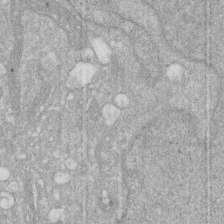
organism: Human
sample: HIV infected U937 cells